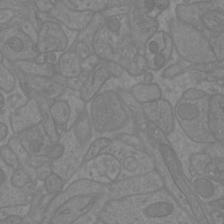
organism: Mouse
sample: Cortical neurons